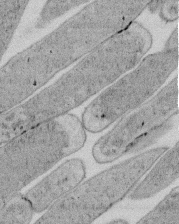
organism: E. coli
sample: Bacterial nucleoid